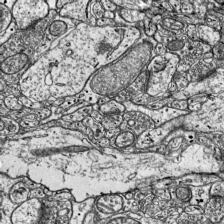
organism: Mouse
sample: Visual Cortex